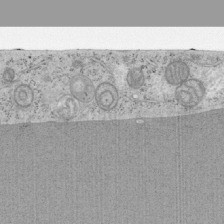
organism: Human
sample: HeLa cells